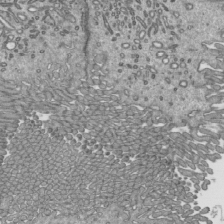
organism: Mouse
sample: Mouse epididymis efferent ductule cilia